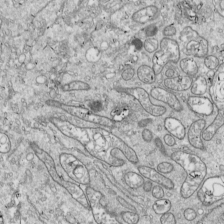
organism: Drosophila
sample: Cell division; meiosis; drosophila spermatocytes